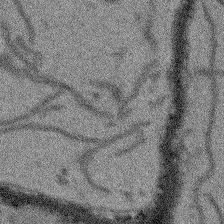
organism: Arabidopsis thaliana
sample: Root tip